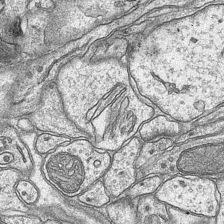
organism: Mouse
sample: CA1 Hippocampus